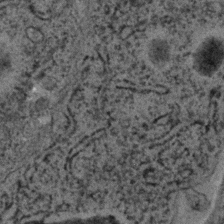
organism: C. elegans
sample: C. elegans embryo